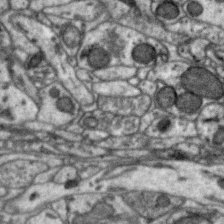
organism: Zebra finch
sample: Brain